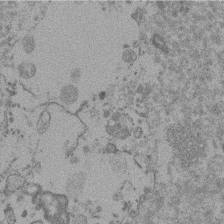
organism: Mouse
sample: Dividing mouse embryo 1 cell stage